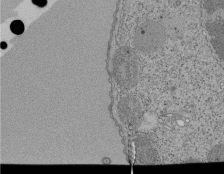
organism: Tetrahymena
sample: Cilia in tetrahymena